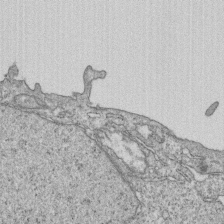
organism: Human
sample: HeLa cell HIV synapse